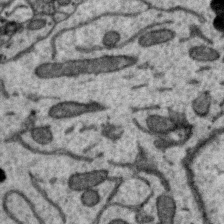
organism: Zebra finch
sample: Brain